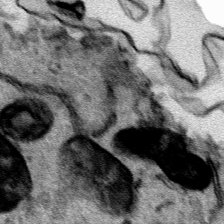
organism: Human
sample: Mitochondria in HCT116 cells